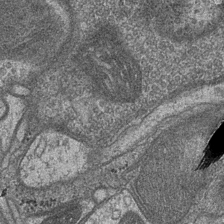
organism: Drosophila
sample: Optic medulla